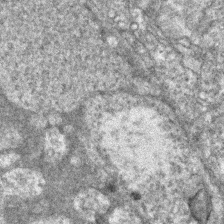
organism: Zebrafish